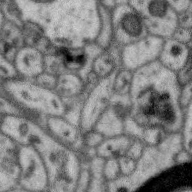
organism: Zebra finch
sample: Brain